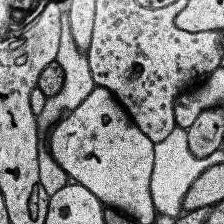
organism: Human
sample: Temporal Lobe